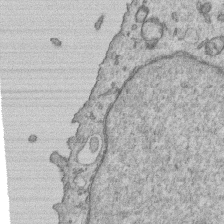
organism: Human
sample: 1205lu cells